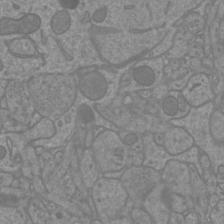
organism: Mouse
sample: Cortical neurons